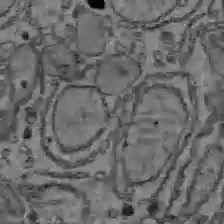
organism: C57BL Mouse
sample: Liver